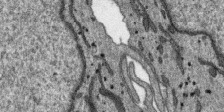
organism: Human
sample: Lung epithelial cells, uninfected (mock) control